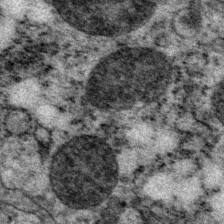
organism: P. pacificus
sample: Pharynx